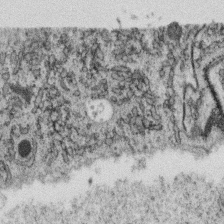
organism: C. elegans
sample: C. elegans oocyte; sperm cells